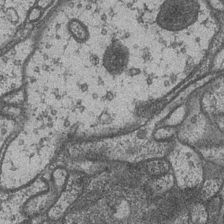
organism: Drosophila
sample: Optic medulla